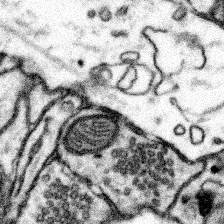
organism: Mouse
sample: Somatosensory cortex neuropil